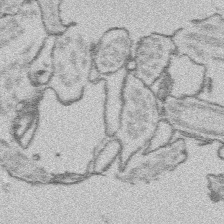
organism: Platynereis dumerilii